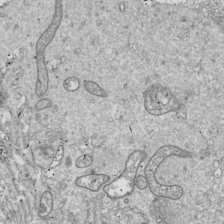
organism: Drosophila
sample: Cell division; meiosis; drosophila spermatocytes